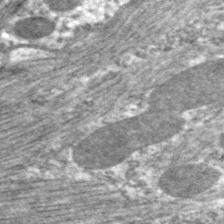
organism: C. elegans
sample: Pharynx